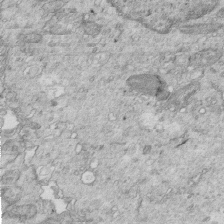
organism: Mouse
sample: Multiciliated cells